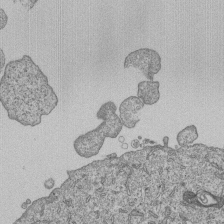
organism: Human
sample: MDA-MB-231 cells